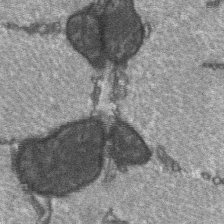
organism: C57BL Mouse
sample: Soleus